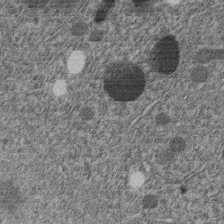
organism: C. elegans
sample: C. elegans embryo early stage